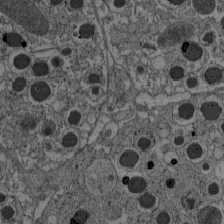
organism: C57BL Mouse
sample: Pancreatic islet